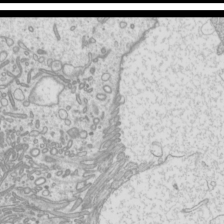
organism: Mouse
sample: Cilia; mouse epididymis